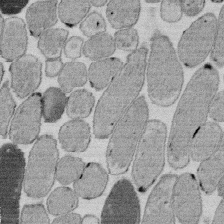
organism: E. coli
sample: Bacterial nucleoid